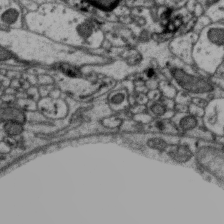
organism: Zebra finch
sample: Brain